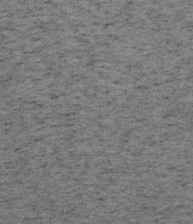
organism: Mouse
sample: OT-I killer T cells with ID8 ovarian cancer cells